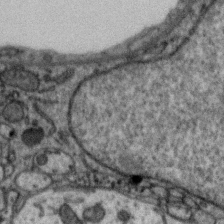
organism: Zebra finch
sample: Brain